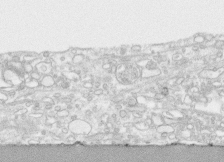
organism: Human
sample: CRL-1474